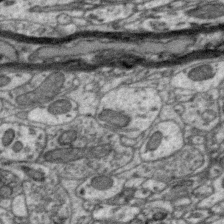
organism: Zebra finch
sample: Brain